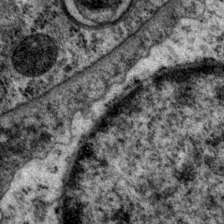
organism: P. pacificus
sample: Pharynx